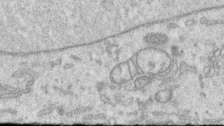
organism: Human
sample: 1205lu cells